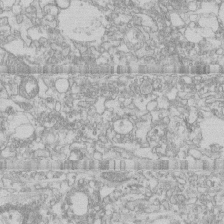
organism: Human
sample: CRL-1474